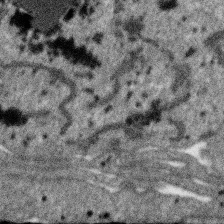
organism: Human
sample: Lung epithelial cells infected with SARS-CoV-2